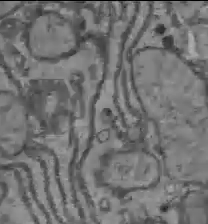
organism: C57BL Mouse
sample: Liver